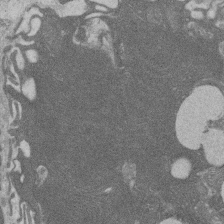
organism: Rat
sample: Salivary granule